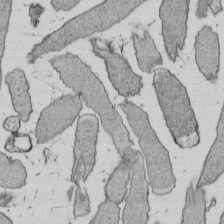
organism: E. coli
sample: Bacterial nucleoid